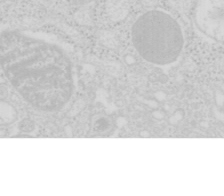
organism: Mouse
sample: Pancreas